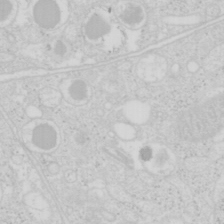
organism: Mouse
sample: Pancreas